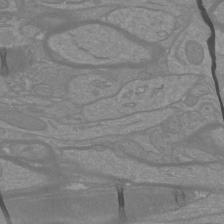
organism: Mouse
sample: Cortical neurons